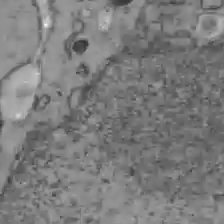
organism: C57BL Mouse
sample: Liver